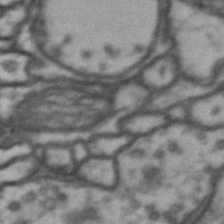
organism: Drosophila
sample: Brain